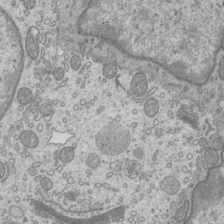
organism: Mouse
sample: Cilia; mouse epididymis